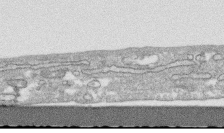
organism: Human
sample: CRL-1474